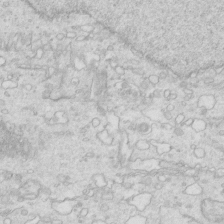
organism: Mouse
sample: Multiciliated cells